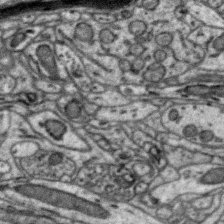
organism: Zebra finch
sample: Brain